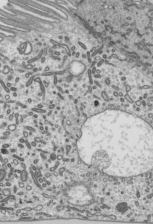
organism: Mouse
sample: Mouse epididymis efferent ductule cilia